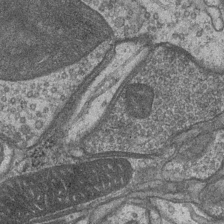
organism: Drosophila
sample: Optic medulla